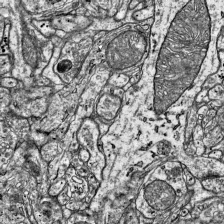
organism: Mouse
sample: Visual Cortex